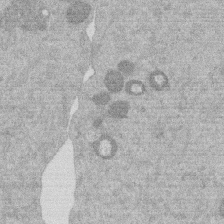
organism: Mouse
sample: Dividing mouse embryo 1 cell stage